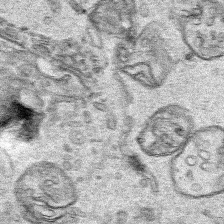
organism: Human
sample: Mitochondria in HCT116 cells